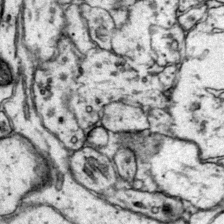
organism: Mouse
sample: Primary visual cortex